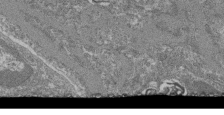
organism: Mouse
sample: Glomerulus